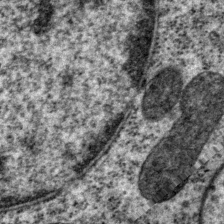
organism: P. pacificus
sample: Pharynx